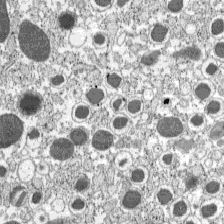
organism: C57BL Mouse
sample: Pancreatic islet